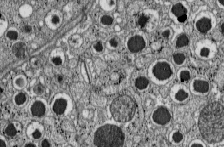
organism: C57BL Mouse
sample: Pancreatic islet